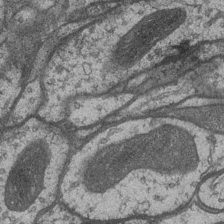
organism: Drosophila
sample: Optic medulla